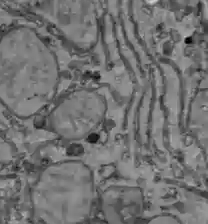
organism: C57BL Mouse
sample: Liver